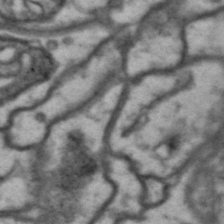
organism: Drosophila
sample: Brain